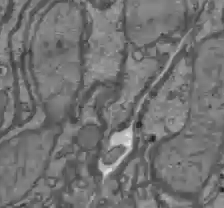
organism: C57BL Mouse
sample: Liver